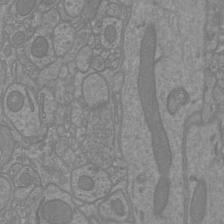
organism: Mouse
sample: Cortical neurons